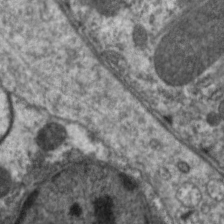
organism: C. elegans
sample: Pharynx